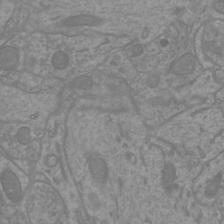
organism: Mouse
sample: Cortical neurons